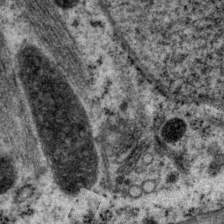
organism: P. pacificus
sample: Pharynx